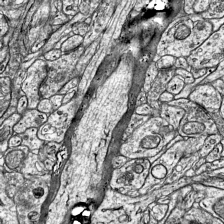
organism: Mouse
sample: Visual Cortex